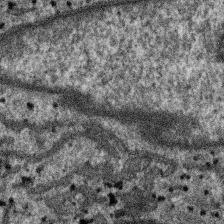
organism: Human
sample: Lung epithelial cells infected with SARS-CoV-2